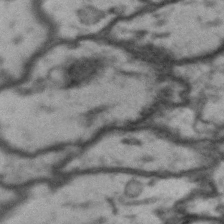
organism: Drosophila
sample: Brain